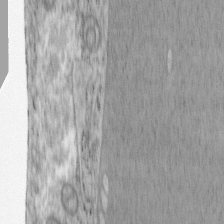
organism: Human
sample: HeLa cells